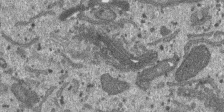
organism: Human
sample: Lung epithelial cells infected with SARS-CoV-2